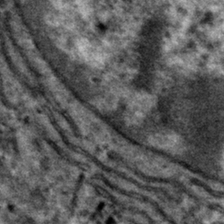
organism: Mouse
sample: Mouse hepatocytes